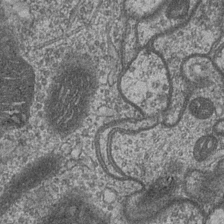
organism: Drosophila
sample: Optic medulla